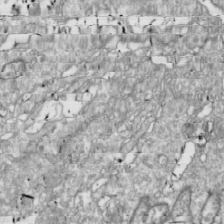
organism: Drosophila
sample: Cell division; meiosis; drosophila spermatocytes